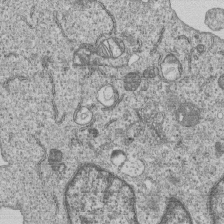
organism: Human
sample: MDA-MB-231 cells